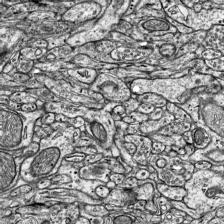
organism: Mouse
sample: Visual Cortex